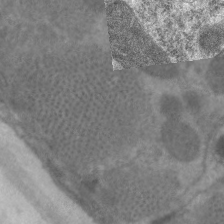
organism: C. elegans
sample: Pharynx